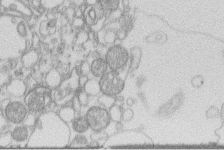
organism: Human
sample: Macrophage cells